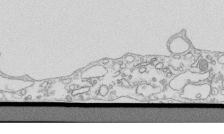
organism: Mouse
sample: Macrophages